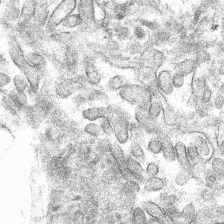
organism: Mouse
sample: Mouse hepatocytes